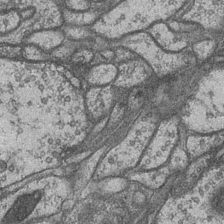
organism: Drosophila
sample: Optic medulla